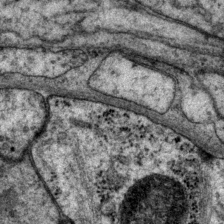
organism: P. pacificus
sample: Pharynx